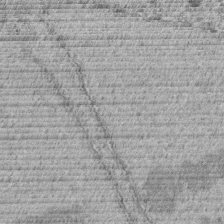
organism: C. elegans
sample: C. elegans embryo early stage